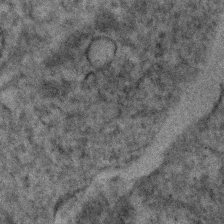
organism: Human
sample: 1205lu cells